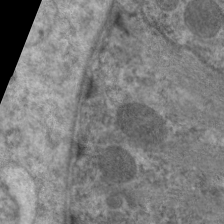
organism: C. elegans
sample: Pharynx